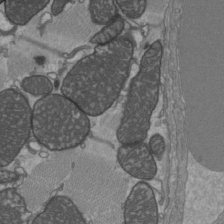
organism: C57BL Mouse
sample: Heart